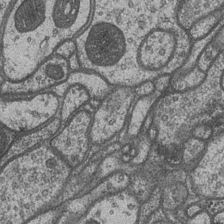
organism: Drosophila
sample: Optic medulla